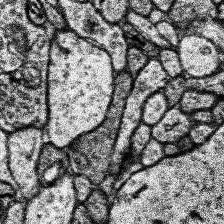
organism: Human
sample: Temporal Lobe